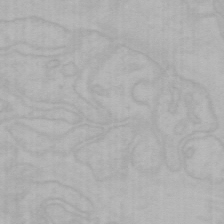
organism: Mouse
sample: Choroid plexus